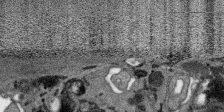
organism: Human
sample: Lung epithelial cells, uninfected (mock) control